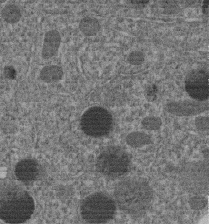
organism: C. elegans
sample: C. elegans embryo early stage